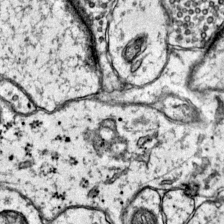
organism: Mouse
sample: Primary visual cortex